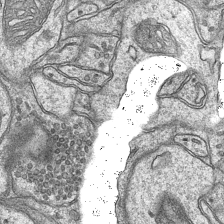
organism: Mouse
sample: CA1 Hippocampus